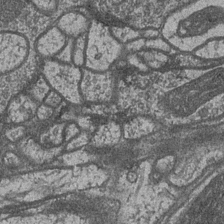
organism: Drosophila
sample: Optic medulla